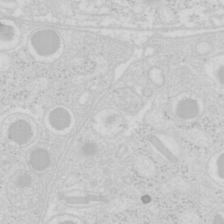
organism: Mouse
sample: Pancreas